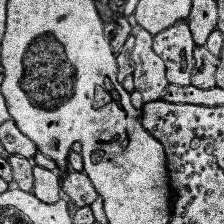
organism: Human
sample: Temporal Lobe